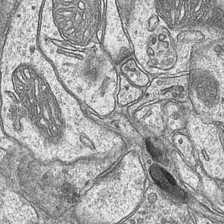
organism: Mouse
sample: CA1 Hippocampus